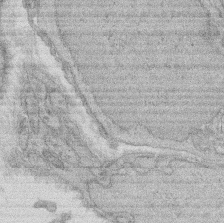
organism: Rat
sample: Salivary granule